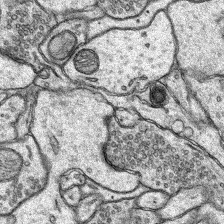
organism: Rat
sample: Hippocampus